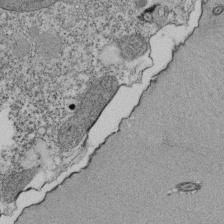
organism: Tetrahymena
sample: Cilia in tetrahymena